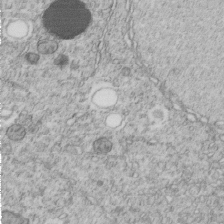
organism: C. elegans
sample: C. elegans embryo early stage